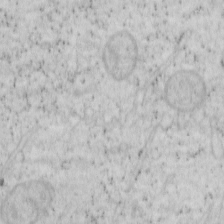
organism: Human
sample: HeLa cells